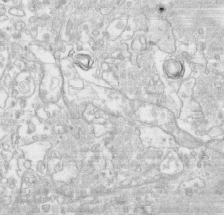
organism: Human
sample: CRL-1474